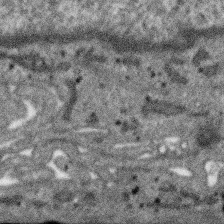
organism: Human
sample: Lung epithelial cells infected with SARS-CoV-2